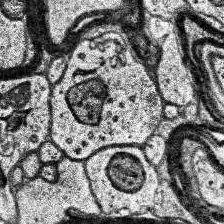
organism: Human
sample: Temporal Lobe